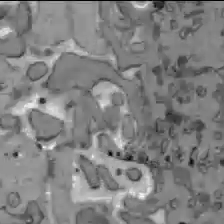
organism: C57BL Mouse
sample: Liver